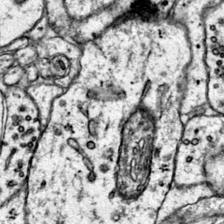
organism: Mouse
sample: Primary visual cortex